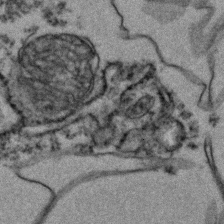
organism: Zebrafish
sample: Zebrafish embryo